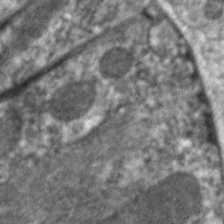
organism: C. elegans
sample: Pharynx